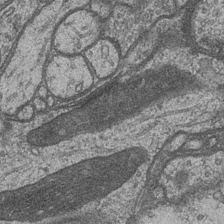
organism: Drosophila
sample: Optic medulla